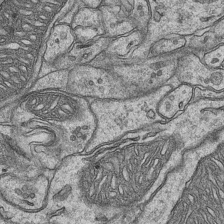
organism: Mouse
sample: CA1 Hippocampus